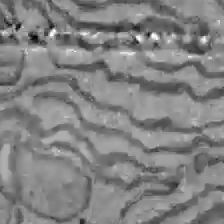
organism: C57BL Mouse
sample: Liver